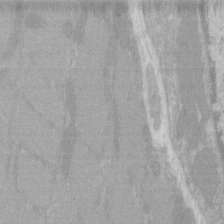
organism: C57BL Mouse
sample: Tibialis anterior muscle cell